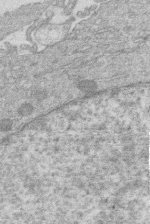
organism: Human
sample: Macrophage cells